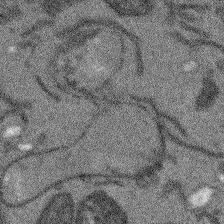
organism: Arabidopsis thaliana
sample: Root tip